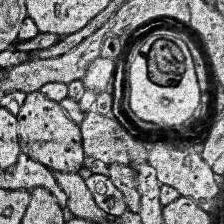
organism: Human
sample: Temporal Lobe